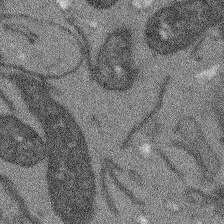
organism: Arabidopsis thaliana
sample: Root tip